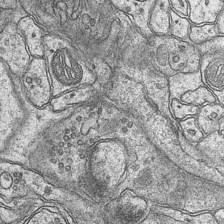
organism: Mouse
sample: CA1 Hippocampus